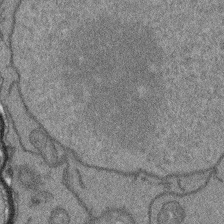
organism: Arabidopsis thaliana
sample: Root tip